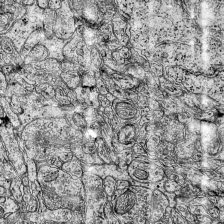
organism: Mouse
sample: Visual Cortex